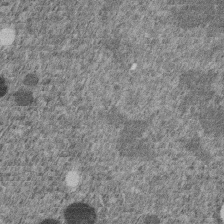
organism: C. elegans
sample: C. elegans embryo early stage